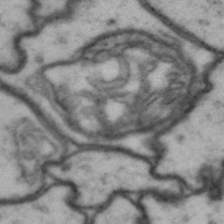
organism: Drosophila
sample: Brain